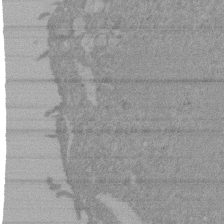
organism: Mouse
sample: ED-1 cell nuclei; centrioles